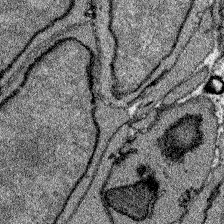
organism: Zebrafish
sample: Larval olfactory bulb